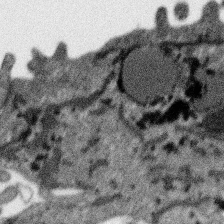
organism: Human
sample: Lung epithelial cells infected with SARS-CoV-2